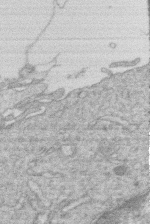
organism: Human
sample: Macrophage cells